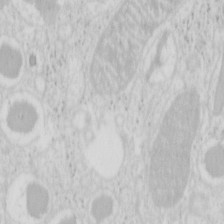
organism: Mouse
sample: Pancreas